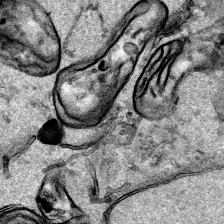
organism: Human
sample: Mitochondria in HCT116 cells